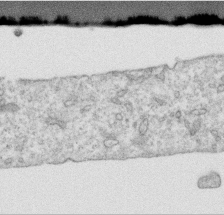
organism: Human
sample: Centriole in RPE cells